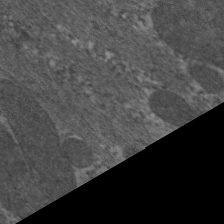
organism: C. elegans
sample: Pharynx